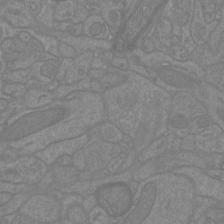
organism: Mouse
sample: Cortical neurons